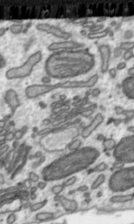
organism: Toxoplasma gondii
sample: Parasites in a vacuole inside a host cell